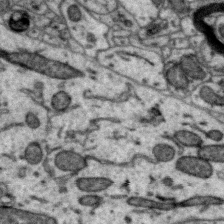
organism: Zebra finch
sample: Brain